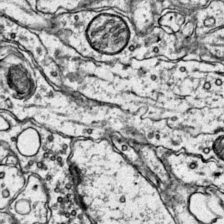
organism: Mouse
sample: Primary visual cortex